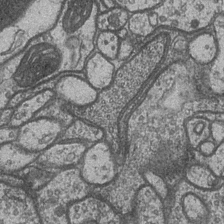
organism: Drosophila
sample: Optic medulla